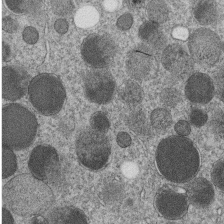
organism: C. elegans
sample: C. elegans embryo early stage